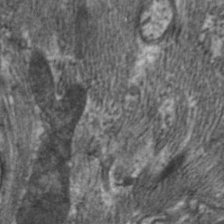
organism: C. elegans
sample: Pharynx